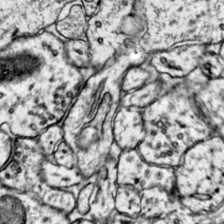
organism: Mouse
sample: Primary visual cortex